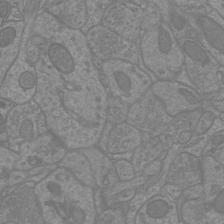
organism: Mouse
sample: Cortical neurons